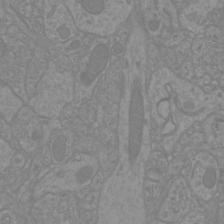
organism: Mouse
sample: Cortical neurons